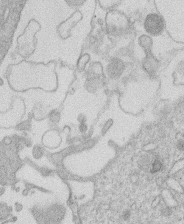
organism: Human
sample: Macrophage cells